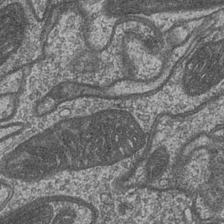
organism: Drosophila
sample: Optic medulla